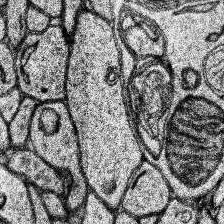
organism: Human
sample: Temporal Lobe